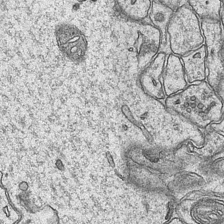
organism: Mouse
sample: CA1 Hippocampus